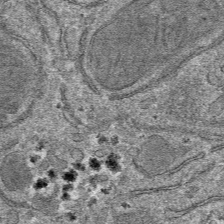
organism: Mouse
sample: Mouse hepatocytes